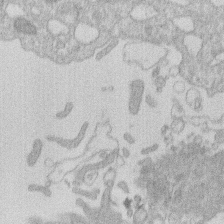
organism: Human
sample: Macrophage cells